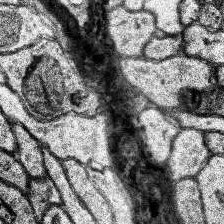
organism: Human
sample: Temporal Lobe